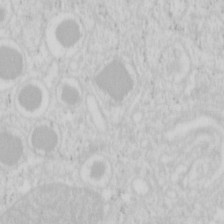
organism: Mouse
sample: Pancreas